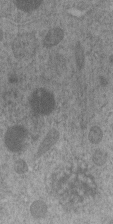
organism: C. elegans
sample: C. elegans embryo early stage